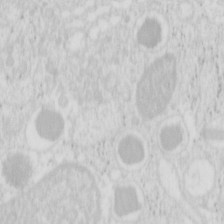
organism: Mouse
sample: Pancreas